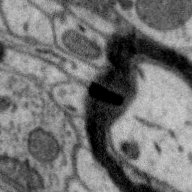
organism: Zebra finch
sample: Brain